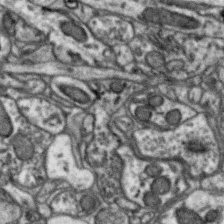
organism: Zebra finch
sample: Brain